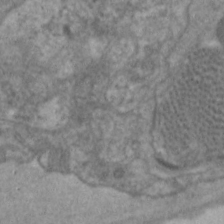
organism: C. elegans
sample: Pharynx